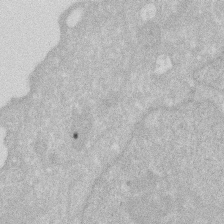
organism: Human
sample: HIV infected U937 cells